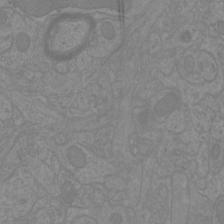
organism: Mouse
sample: Cortical neurons